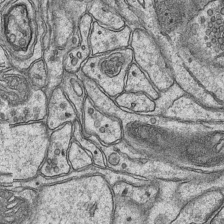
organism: Mouse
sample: CA1 Hippocampus